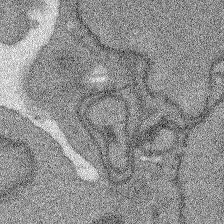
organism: Human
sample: HeLa cells